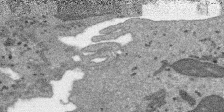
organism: Human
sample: Lung epithelial cells infected with SARS-CoV-2